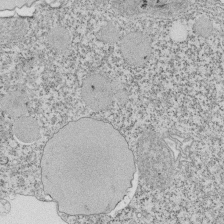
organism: Tetrahymena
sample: Cilia in tetrahymena